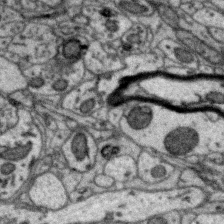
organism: Zebra finch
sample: Brain